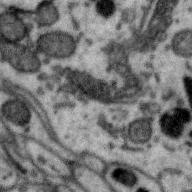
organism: Zebra finch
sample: Brain